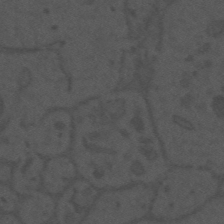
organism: Mouse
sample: Suprachiasmatic nucleus